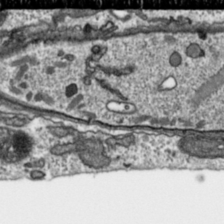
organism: Toxoplasma gondii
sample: Parasites in a vacuole inside a host cell